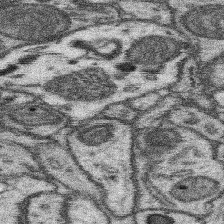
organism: Mouse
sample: Somatosensory cortex neuropil